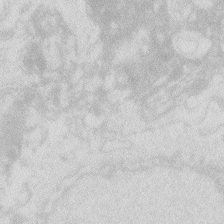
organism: Zebrafish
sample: Macrophage